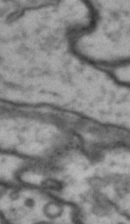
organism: Drosophila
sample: Brain